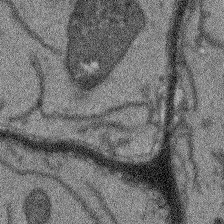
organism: Arabidopsis thaliana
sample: Root tip